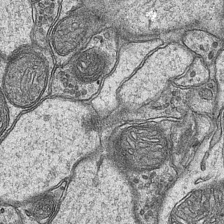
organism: Mouse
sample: CA1 Hippocampus